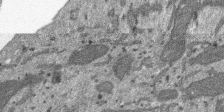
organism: Human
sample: Lung epithelial cells infected with SARS-CoV-2